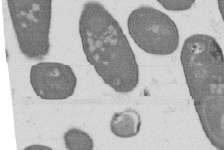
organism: B. subtilis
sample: Bacterial spore